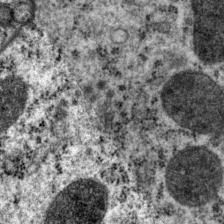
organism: P. pacificus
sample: Pharynx